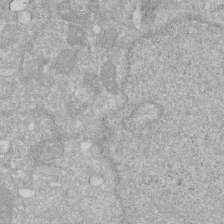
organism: Human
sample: HIV infected U937 cells